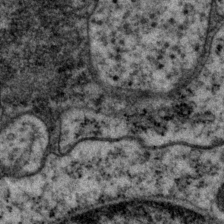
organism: P. pacificus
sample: Pharynx